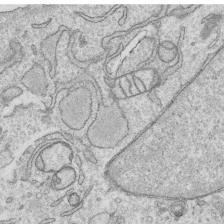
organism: Human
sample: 1205lu cells